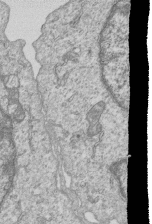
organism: Human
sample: MDA-MB-231 cells